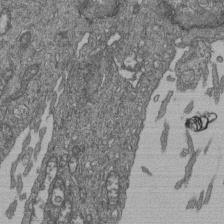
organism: Human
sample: Retinal organoid Rod and Cone cells